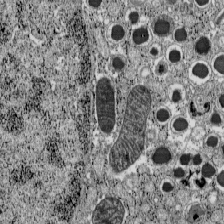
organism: C57BL Mouse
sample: Pancreatic islet